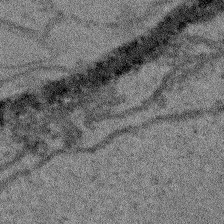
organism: Arabidopsis thaliana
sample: Root tip